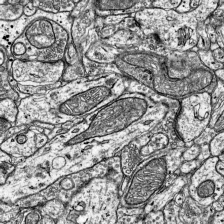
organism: Mouse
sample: Visual Cortex